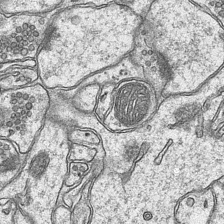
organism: Mouse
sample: CA1 Hippocampus